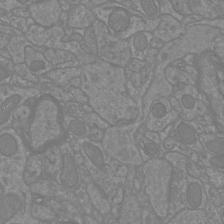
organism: Mouse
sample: Cortical neurons